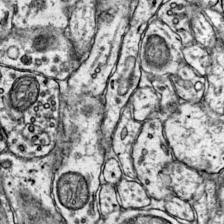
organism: Mouse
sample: Primary visual cortex